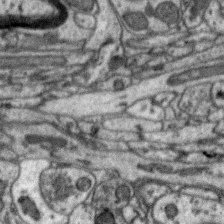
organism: Zebra finch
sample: Brain